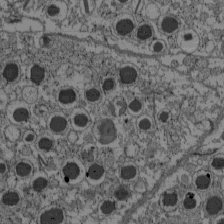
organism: C57BL Mouse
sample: Pancreatic islet